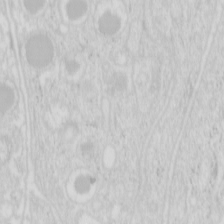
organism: Mouse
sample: Pancreas